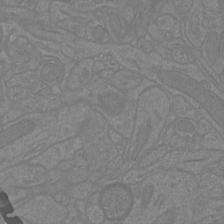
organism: Mouse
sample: Cortical neurons